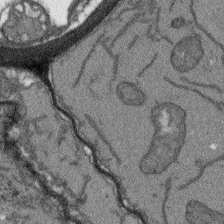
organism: Arabidopsis thaliana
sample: Root tip